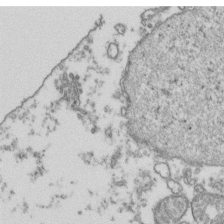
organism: Human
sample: Activated Jurkat CD4+ T cells